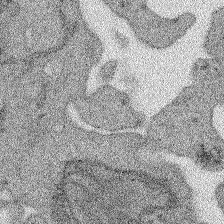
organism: Human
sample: HeLa cells